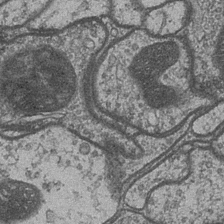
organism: Drosophila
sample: Optic medulla